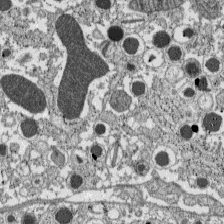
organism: C57BL Mouse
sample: Pancreatic islet